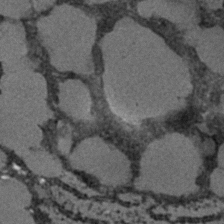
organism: C. elegans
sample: C. elegans embryo